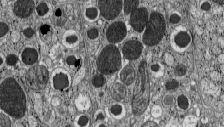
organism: C57BL Mouse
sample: Pancreatic islet